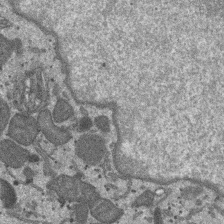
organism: Human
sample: Lung epithelial cells infected with SARS-CoV-2